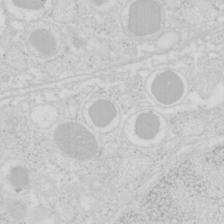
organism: Mouse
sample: Pancreas